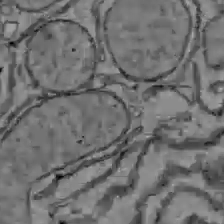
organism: C57BL Mouse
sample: Liver